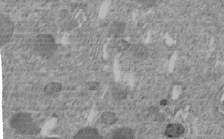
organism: C. elegans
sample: C. elegans embryo early stage